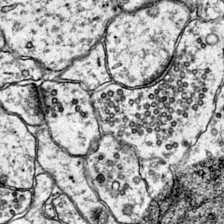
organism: Mouse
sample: Primary visual cortex